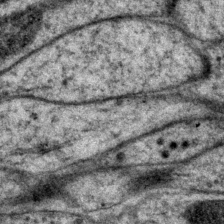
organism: P. pacificus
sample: Pharynx